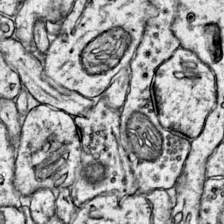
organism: Mouse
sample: Primary visual cortex